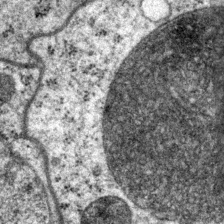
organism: P. pacificus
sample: Pharynx